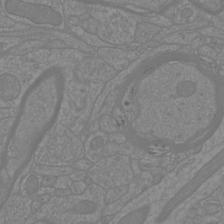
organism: Mouse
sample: Cortical neurons